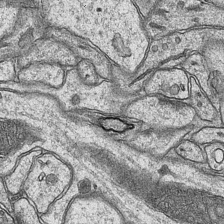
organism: Mouse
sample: CA1 Hippocampus